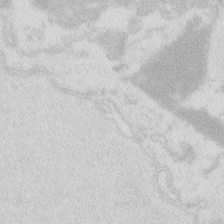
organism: Zebrafish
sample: Macrophage